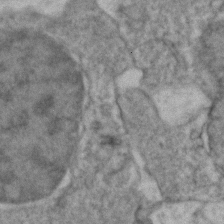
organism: Zebrafish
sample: Zebrafish embryo